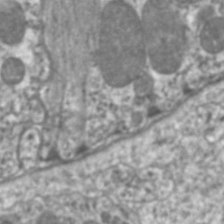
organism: C. elegans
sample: Pharynx